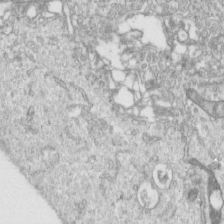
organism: Human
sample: Centriole in RPE cells